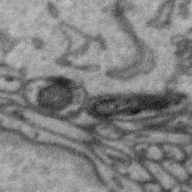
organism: Zebra finch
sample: Brain